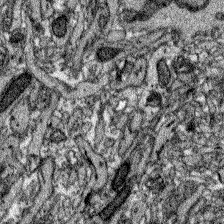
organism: Zebrafish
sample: Larval olfactory bulb